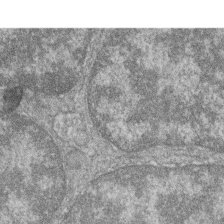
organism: Zebrafish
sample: Cilia; retinal pigment epithelium